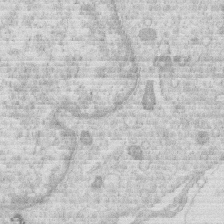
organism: Human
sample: Macrophage cells